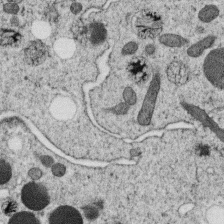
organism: C. elegans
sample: C. elegans oocyte; sperm cells